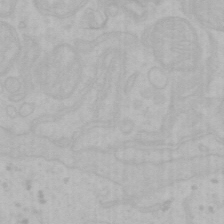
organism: Mouse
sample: Choroid plexus